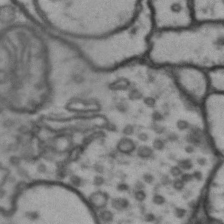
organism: Drosophila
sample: Brain